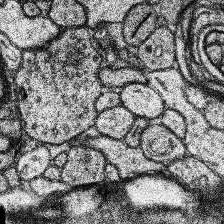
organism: Human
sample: Temporal Lobe